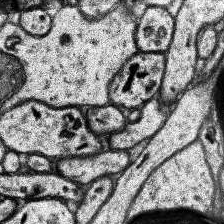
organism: Human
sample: Temporal Lobe